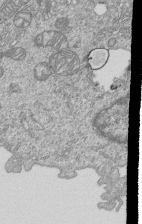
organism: Human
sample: MDA-MB-231 cells